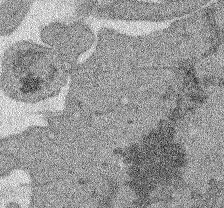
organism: Human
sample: HeLa cells